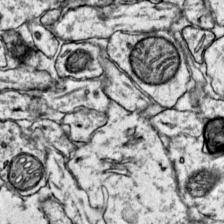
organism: Mouse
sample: Primary visual cortex